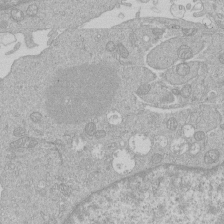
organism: Human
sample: Macrophage cells